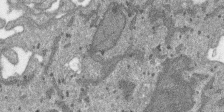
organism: Human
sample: Lung epithelial cells infected with SARS-CoV-2